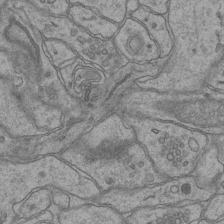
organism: Mouse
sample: CA1 Hippocampus